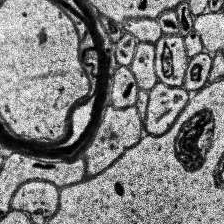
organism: Human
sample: Temporal Lobe